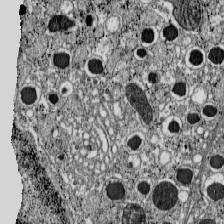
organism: C57BL Mouse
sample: Pancreatic islet